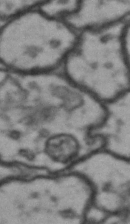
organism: Drosophila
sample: Brain